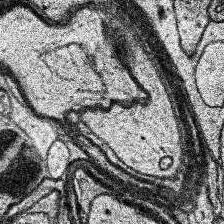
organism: Human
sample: Temporal Lobe